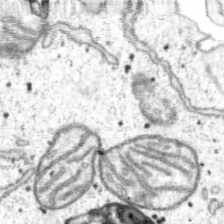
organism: Human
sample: HeLa cells